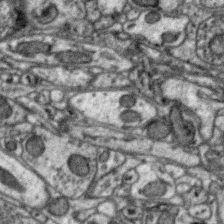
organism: Zebra finch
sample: Brain